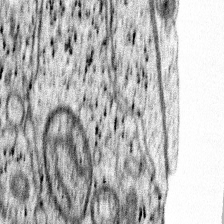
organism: Human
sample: HeLa cells